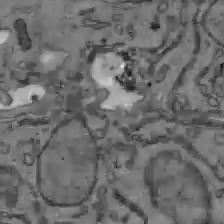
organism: C57BL Mouse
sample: Liver